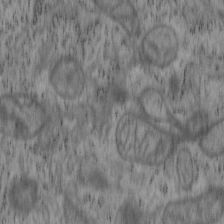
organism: Human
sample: HeLa cells